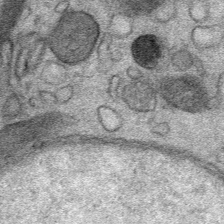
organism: Mouse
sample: Mouse Salivary gland